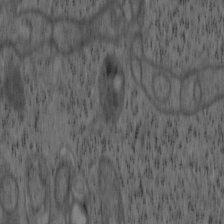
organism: Human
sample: HeLa cells